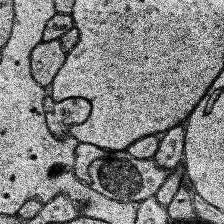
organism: Human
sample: Temporal Lobe